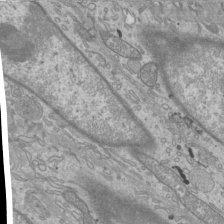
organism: Mouse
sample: Cilia; mouse epididymis